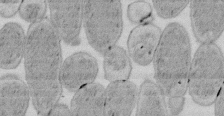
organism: E. coli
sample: Bacterial nucleoid